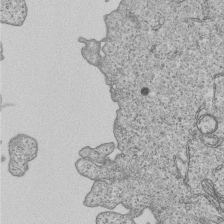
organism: Human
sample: MDA-MB-231 cells